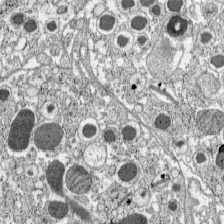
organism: C57BL Mouse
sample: Pancreatic islet